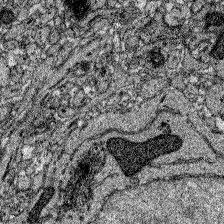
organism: Zebrafish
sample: Larval olfactory bulb